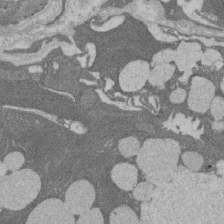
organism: Rat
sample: Salivary granule